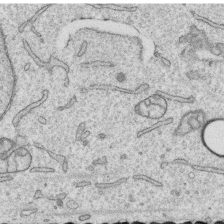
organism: Human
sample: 1205lu cells